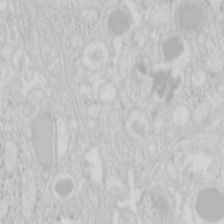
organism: Mouse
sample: Pancreas